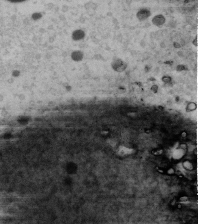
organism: Human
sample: U2-OS cells